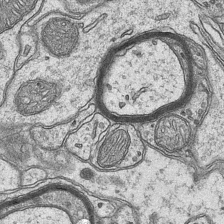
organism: Mouse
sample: CA1 Hippocampus